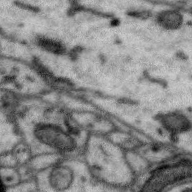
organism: Zebra finch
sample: Brain